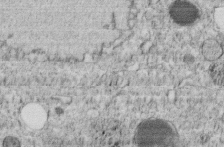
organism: C. elegans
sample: C. elegans embryo early stage